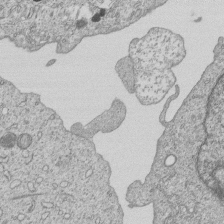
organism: Human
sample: MDA-MB-231 cells